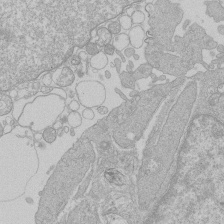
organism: Human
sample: Macrophage cells